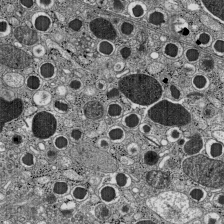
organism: C57BL Mouse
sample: Pancreatic islet